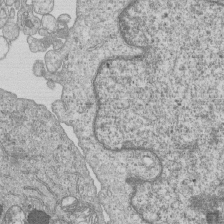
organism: Human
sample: MDA-MB-231 cells